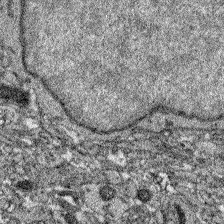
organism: Zebrafish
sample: Larval olfactory bulb